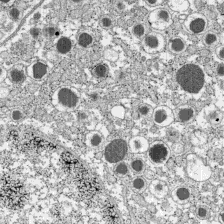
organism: C57BL Mouse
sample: Pancreatic islet